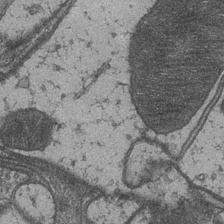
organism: Drosophila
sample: Optic medulla